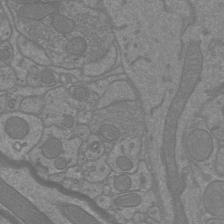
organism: Mouse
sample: Cortical neurons